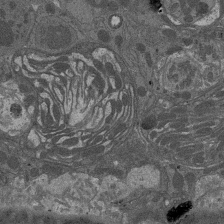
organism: Drosophila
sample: Antenna